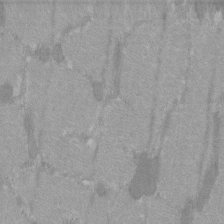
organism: C57BL Mouse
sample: Tibialis anterior muscle cell